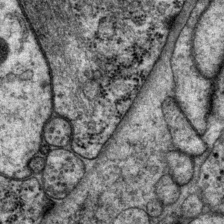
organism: P. pacificus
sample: Pharynx